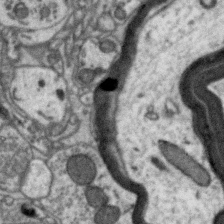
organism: Zebra finch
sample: Brain